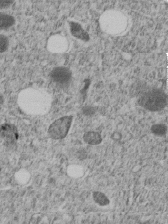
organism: C. elegans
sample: C. elegans embryo early stage